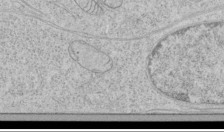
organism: Human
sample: Mitochondria in HCT116 cells